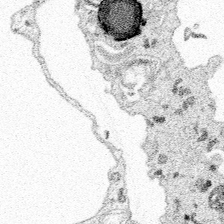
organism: Spongilla lacustris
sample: Multiple